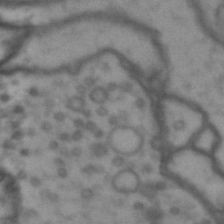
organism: Drosophila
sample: Brain